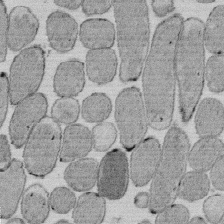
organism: E. coli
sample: Bacterial nucleoid